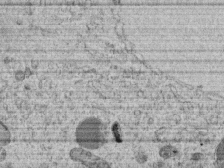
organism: C. elegans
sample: C. elegans embryo early stage